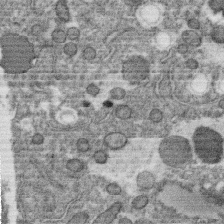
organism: C. elegans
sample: C. elegans oocyte; sperm cells